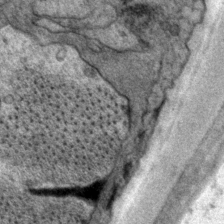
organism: P. pacificus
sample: Pharynx